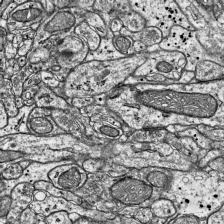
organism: Mouse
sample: Visual Cortex